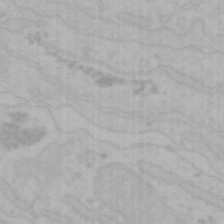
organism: Mouse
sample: Choroid plexus